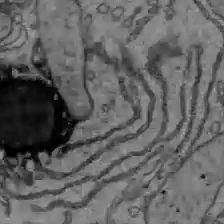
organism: C57BL Mouse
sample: Liver